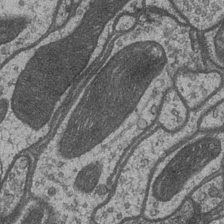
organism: Drosophila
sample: Optic medulla